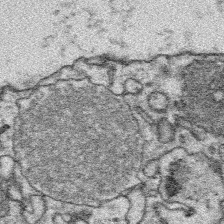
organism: Platynereis dumerilii